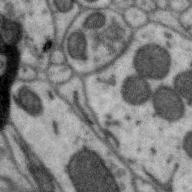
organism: Zebra finch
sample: Brain